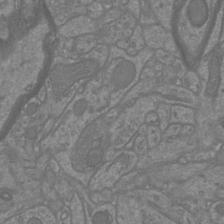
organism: Mouse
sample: Cortical neurons